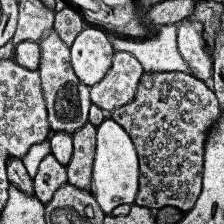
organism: Human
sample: Temporal Lobe